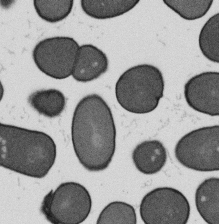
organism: B. subtilis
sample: Bacterial spore